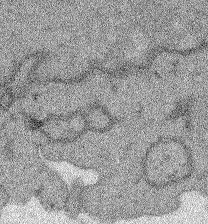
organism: Human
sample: HeLa cells